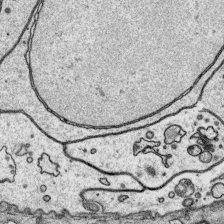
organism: Platynereis dumerilii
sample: Parapodia